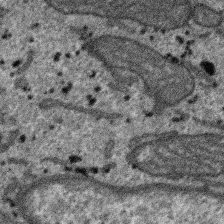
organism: Human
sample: Lung epithelial cells infected with SARS-CoV-2